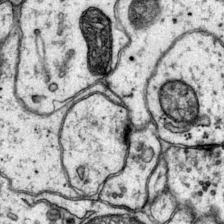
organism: Mouse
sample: Primary visual cortex